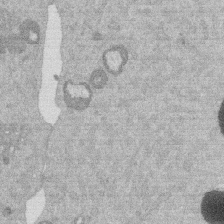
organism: Mouse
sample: Dividing mouse embryo 1 cell stage